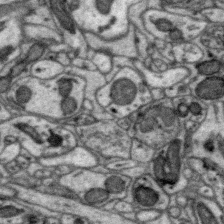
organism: Zebra finch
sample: Brain